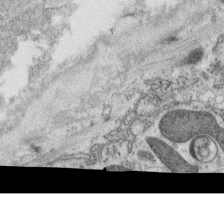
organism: C. elegans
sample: C. elegans oocyte; sperm cells